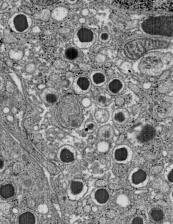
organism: C57BL Mouse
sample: Pancreatic islet